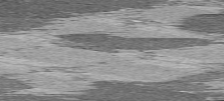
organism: C57BL Mouse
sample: Heart